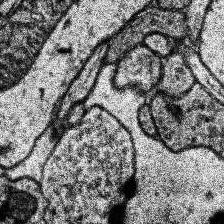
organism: Human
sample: Temporal Lobe